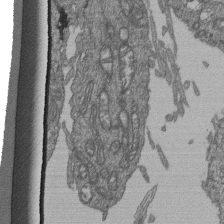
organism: Human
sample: Retinal organoid Rod and Cone cells